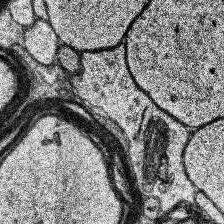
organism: Human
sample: Temporal Lobe